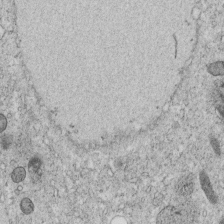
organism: C. elegans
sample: C. elegans embryo early stage